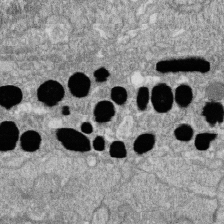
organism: Zebrafish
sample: Cilia; retinal pigment epithelium